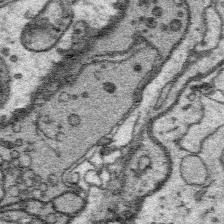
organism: Platynereis dumerilii